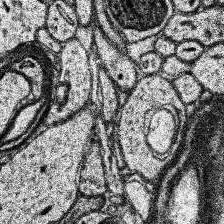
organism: Human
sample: Temporal Lobe